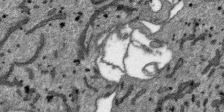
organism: Human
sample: Lung epithelial cells, uninfected (mock) control